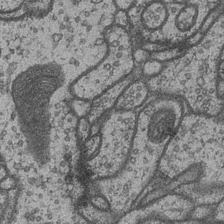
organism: Drosophila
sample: Optic medulla